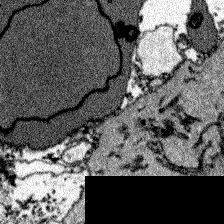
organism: Zebrafish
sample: Larval olfactory bulb